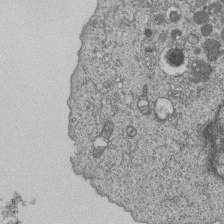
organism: Human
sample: MDA-MB-231 cells